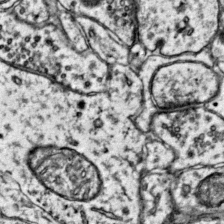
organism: Mouse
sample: Primary visual cortex